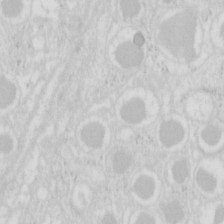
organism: Mouse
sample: Pancreas